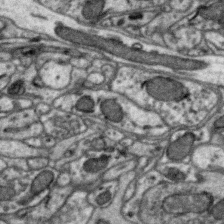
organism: Zebra finch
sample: Brain